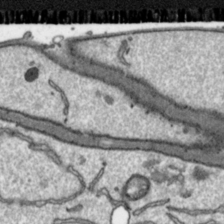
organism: Toxoplasma gondii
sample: Parasites in a vacuole inside a host cell